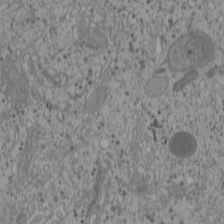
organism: African green monkey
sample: COS-7 cells